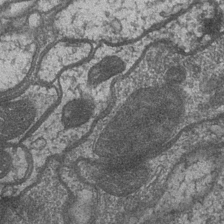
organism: Drosophila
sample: Optic medulla